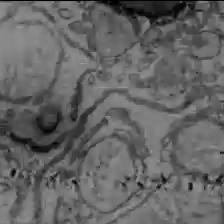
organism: C57BL Mouse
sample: Liver